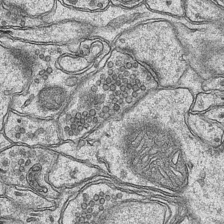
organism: Mouse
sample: CA1 Hippocampus